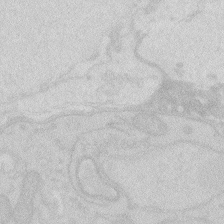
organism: Zebrafish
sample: Macrophage